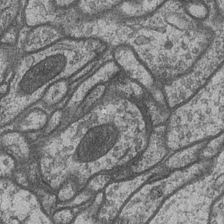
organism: Drosophila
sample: Optic medulla